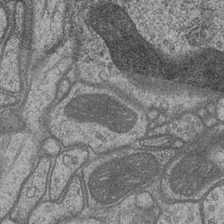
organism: Drosophila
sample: Optic medulla